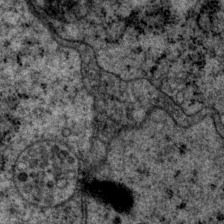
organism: P. pacificus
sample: Pharynx